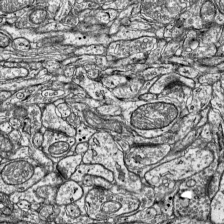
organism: Mouse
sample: Visual Cortex